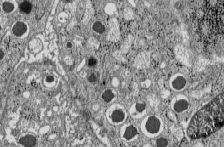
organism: C57BL Mouse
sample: Pancreatic islet